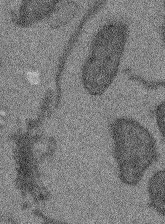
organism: Arabidopsis thaliana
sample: Root tip